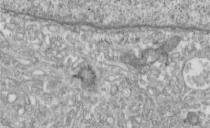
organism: Human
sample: Centriole in fibroblast cells